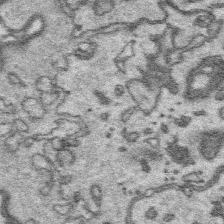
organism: Platynereis dumerilii